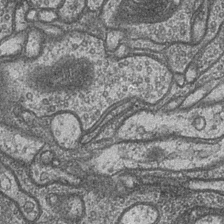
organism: Drosophila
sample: Optic medulla